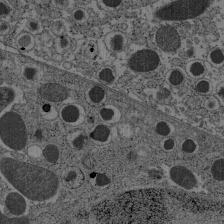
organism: C57BL Mouse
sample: Pancreatic islet